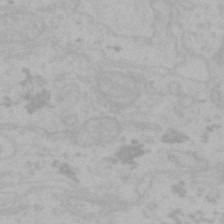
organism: Mouse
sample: Choroid plexus